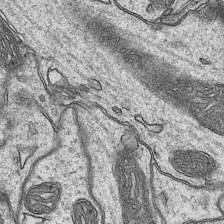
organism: Mouse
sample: CA1 Hippocampus